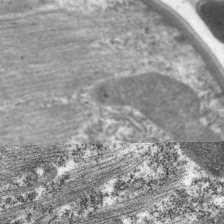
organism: C. elegans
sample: Pharynx